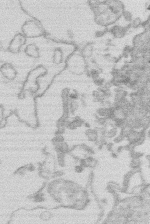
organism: Human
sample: Macrophage cells